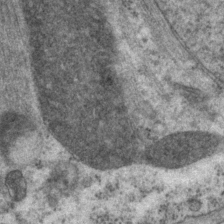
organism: P. pacificus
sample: Pharynx